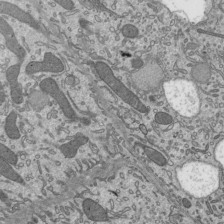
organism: Mouse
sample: Mouse epididymis efferent ductule cilia